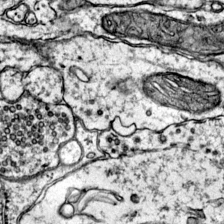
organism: Mouse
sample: Primary visual cortex